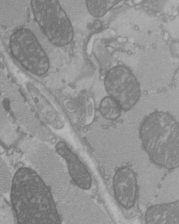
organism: C57BL Mouse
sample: Heart